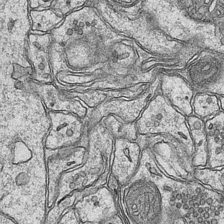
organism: Mouse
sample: CA1 Hippocampus